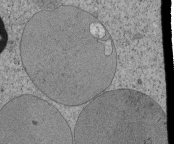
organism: Tetrahymena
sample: Cilia in tetrahymena